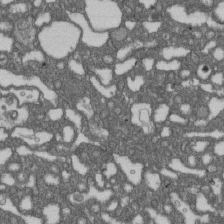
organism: Drosophila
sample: Nephrocyte